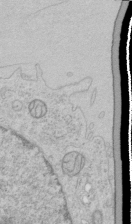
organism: Human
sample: Mitochondria in HCT116 cells